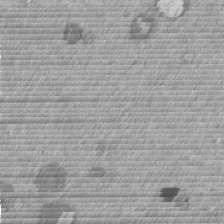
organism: Mouse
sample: Dividing mouse embryo 1 cell stage